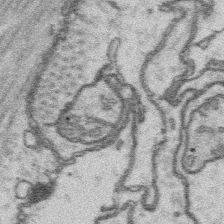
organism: Platynereis dumerilii